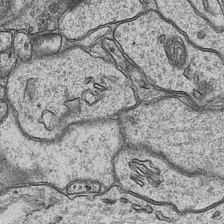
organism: Mouse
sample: CA1 Hippocampus